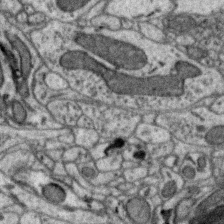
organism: Zebra finch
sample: Brain